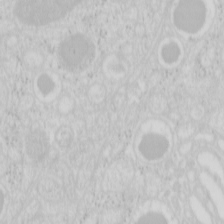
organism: Mouse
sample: Pancreas